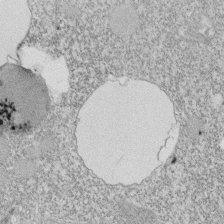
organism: Tetrahymena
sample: Cilia in tetrahymena